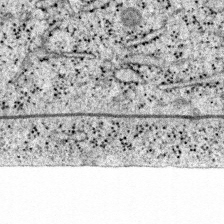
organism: Human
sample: HeLa cells